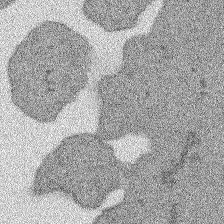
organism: Human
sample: HeLa cells